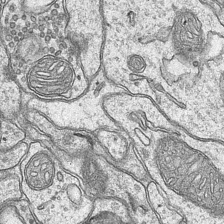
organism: Mouse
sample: CA1 Hippocampus